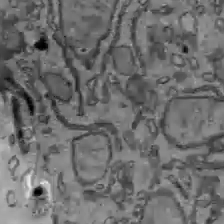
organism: C57BL Mouse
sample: Liver